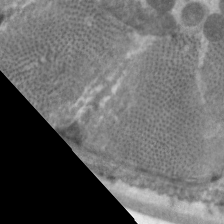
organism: C. elegans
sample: Pharynx